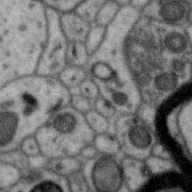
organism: Zebra finch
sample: Brain